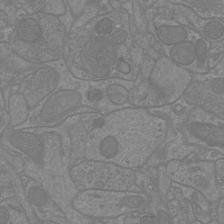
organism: Mouse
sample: Cortical neurons